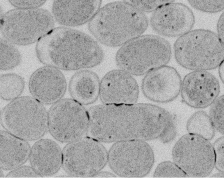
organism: E. coli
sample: Bacterial nucleoid